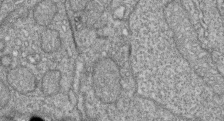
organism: Zebrafish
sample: Cilia; retinal pigment epithelium